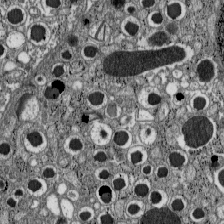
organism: C57BL Mouse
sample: Pancreatic islet